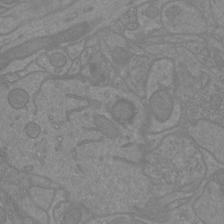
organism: Mouse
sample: Cortical neurons